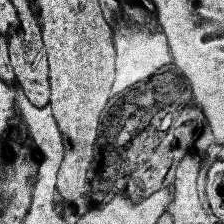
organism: Human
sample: Temporal Lobe